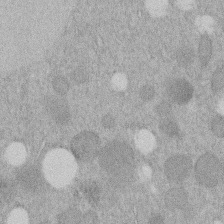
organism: C. elegans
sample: C. elegans embryo early stage